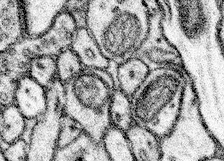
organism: Mouse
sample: Somatosensory cortex neuropil